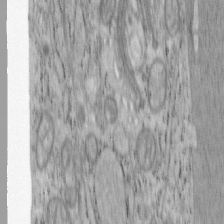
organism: Human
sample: HeLa cells